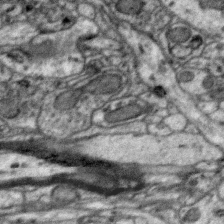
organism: Zebra finch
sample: Brain